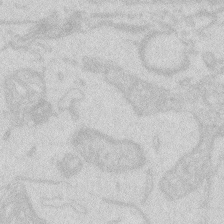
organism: Zebrafish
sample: Macrophage